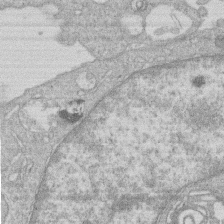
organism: Human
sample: Macrophage cells